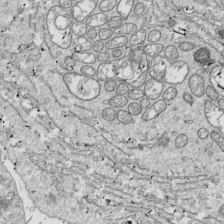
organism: Drosophila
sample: Cell division; meiosis; drosophila spermatocytes